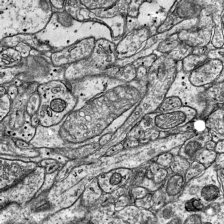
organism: Mouse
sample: Visual Cortex